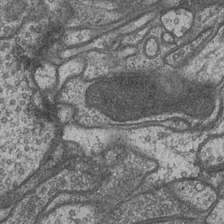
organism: Drosophila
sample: Optic medulla